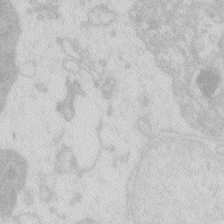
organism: Zebrafish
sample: Macrophage